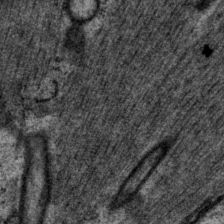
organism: P. pacificus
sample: Pharynx